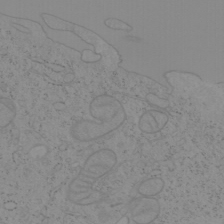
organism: Human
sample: HeLa cells